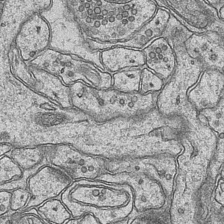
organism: Mouse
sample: CA1 Hippocampus